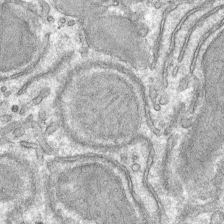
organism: Mouse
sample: Mouse hepatocytes